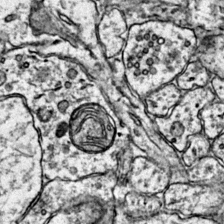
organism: Mouse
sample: Primary visual cortex